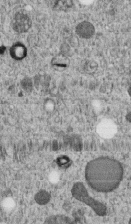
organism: C. elegans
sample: C. elegans embryo early stage